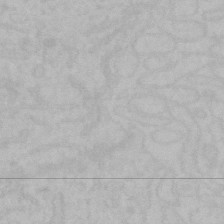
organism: Mouse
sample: Choroid plexus